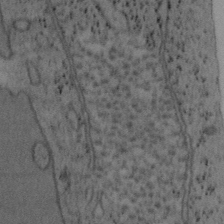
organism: Human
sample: HeLa cells